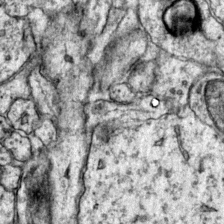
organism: Mouse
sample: Primary visual cortex